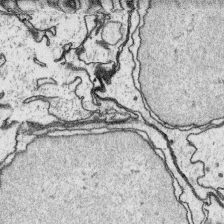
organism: Platynereis dumerilii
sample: Parapodia